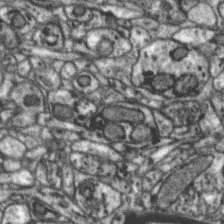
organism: Zebra finch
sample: Brain